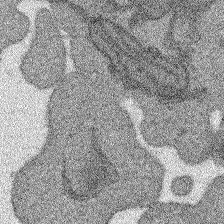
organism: Human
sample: HeLa cells